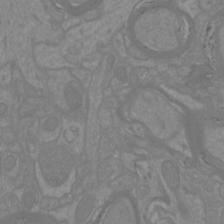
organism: Mouse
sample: Cortical neurons